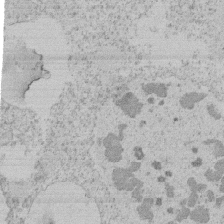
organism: Tetrahymena